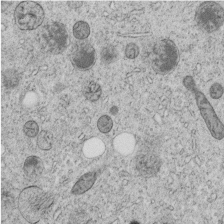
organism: C. elegans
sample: C. elegans embryo early stage